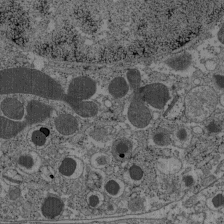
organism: C57BL Mouse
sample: Pancreatic islet